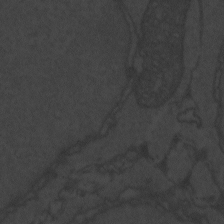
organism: Zebrafish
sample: Macrophage infected with Toxoplasma gondii